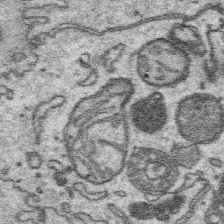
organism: Platynereis dumerilii